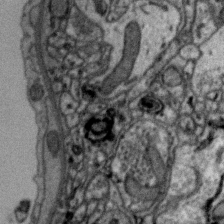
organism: Zebra finch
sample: Brain